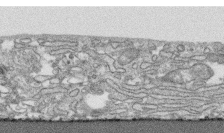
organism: Human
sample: CRL-1474